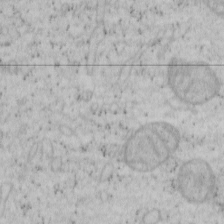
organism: Human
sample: HeLa cells